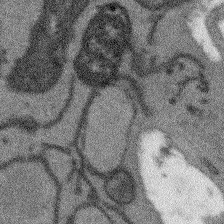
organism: Arabidopsis thaliana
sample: Root tip